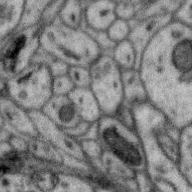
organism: Zebra finch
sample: Brain